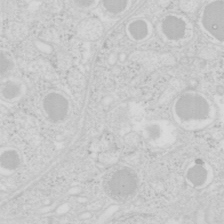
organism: Mouse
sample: Pancreas